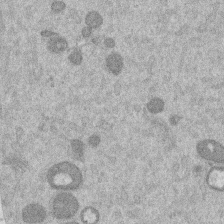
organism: Mouse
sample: Dividing mouse embryo 1 cell stage